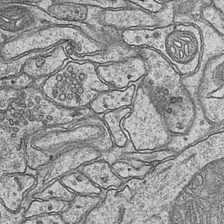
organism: Mouse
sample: CA1 Hippocampus